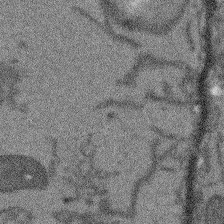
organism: Arabidopsis thaliana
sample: Root tip